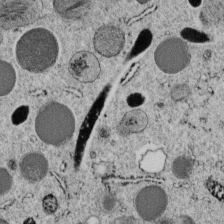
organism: C. elegans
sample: C. elegans embryo early stage